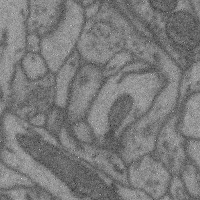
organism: Mouse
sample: Cerebral cortex